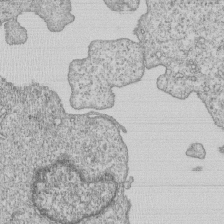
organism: Human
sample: MDA-MB-231 cells